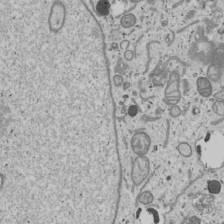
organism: Human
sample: Mitochondria in U2OS cells